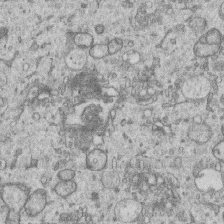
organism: Human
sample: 1205lu cells